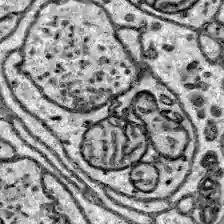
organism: Zebrafish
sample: Brain